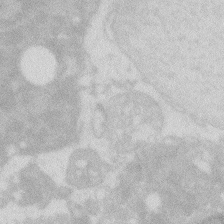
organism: Zebrafish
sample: Macrophage